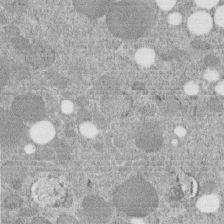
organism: C. elegans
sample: C. elegans embryo early stage